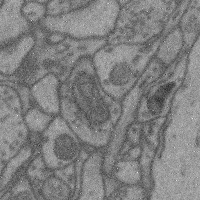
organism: Mouse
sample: Cerebral cortex